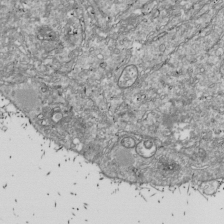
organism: Drosophila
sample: Cell division; meiosis; drosophila spermatocytes